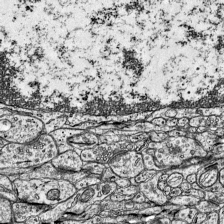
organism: Mouse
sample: Visual Cortex